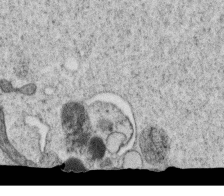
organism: C. elegans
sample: C. elegans oocyte; sperm cells